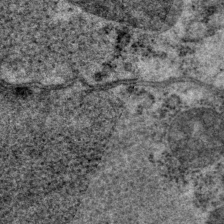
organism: P. pacificus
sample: Pharynx